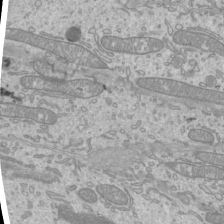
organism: Mouse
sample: Cilia; mouse epididymis